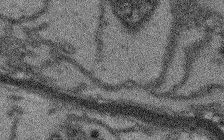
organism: Arabidopsis thaliana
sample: Root tip